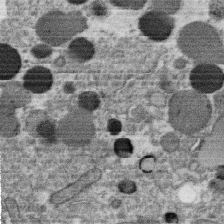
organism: C. elegans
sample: C. elegans oocyte; sperm cells